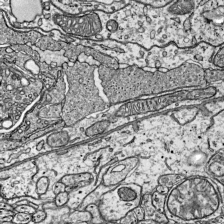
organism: Mouse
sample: Visual Cortex